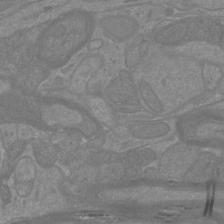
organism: Mouse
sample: Cortical neurons